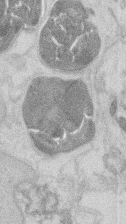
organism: Mouse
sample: T cell stromal cell synapse